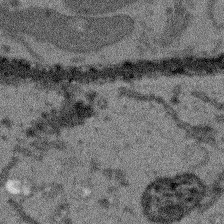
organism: Arabidopsis thaliana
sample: Root tip